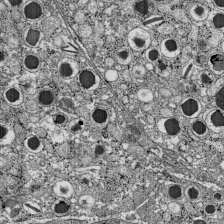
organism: C57BL Mouse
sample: Pancreatic islet